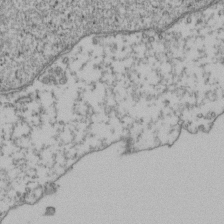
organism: Human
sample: Activated Jurkat CD4+ T cells